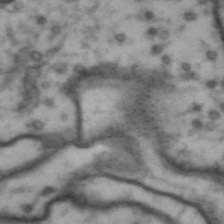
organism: Drosophila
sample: Brain